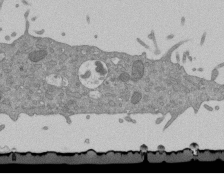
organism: Mouse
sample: ED-1 cell nuclei; centrioles